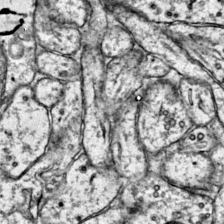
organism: Mouse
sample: Primary visual cortex